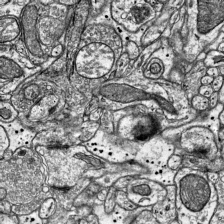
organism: Mouse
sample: Visual Cortex